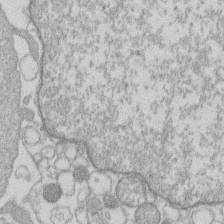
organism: Human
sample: Macrophage cells